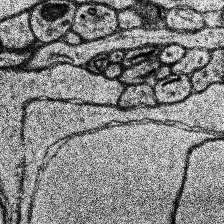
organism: Human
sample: Temporal Lobe